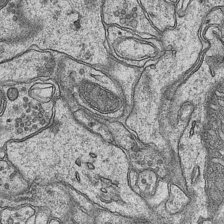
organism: Mouse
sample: CA1 Hippocampus